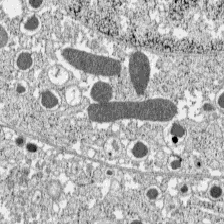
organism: C57BL Mouse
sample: Pancreatic islet